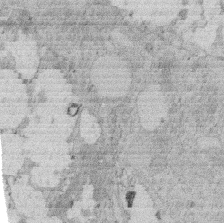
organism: Rat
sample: Salivary granule